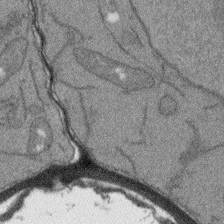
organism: Arabidopsis thaliana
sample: Root tip